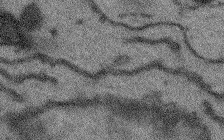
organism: Arabidopsis thaliana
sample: Root tip